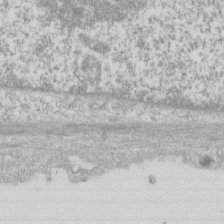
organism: Human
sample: CRL-1474